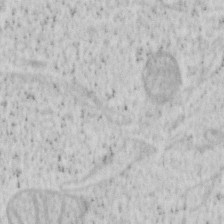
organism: Human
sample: HeLa cells